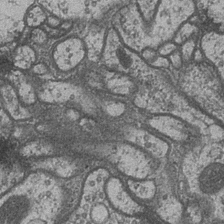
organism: Drosophila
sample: Optic medulla